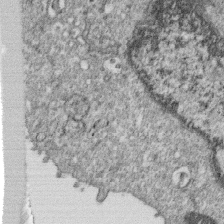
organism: African green monkey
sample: Vero E6 cells infected with SARS-CoV-2